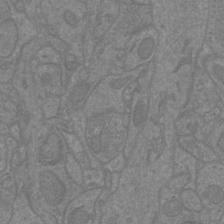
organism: Mouse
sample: Cortical neurons